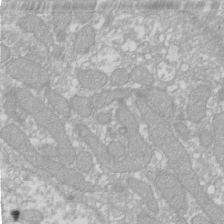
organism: Xenopus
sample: Cilia; centrioles in frog embryo cells